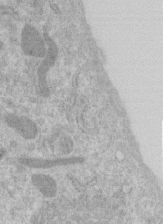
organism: Human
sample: Centriole in RPE cells